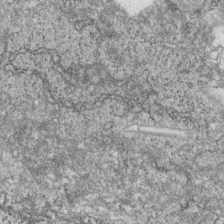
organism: Zebrafish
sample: Cilia; retinal pigment epithelium